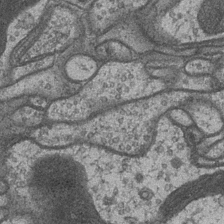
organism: Drosophila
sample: Optic medulla